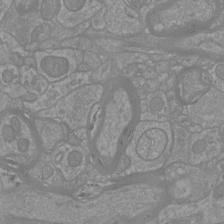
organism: Mouse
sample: Cortical neurons